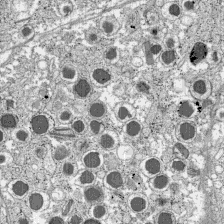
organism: C57BL Mouse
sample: Pancreatic islet